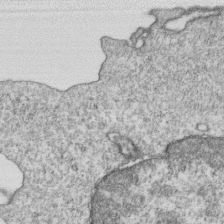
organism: Mouse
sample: Activated OT-1 CD8+ T cells